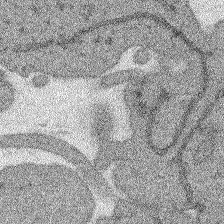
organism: Human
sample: HeLa cells